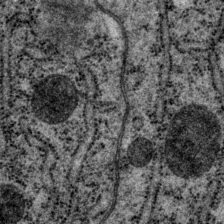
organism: P. pacificus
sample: Pharynx